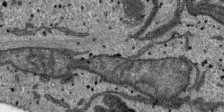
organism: Human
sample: Lung epithelial cells, uninfected (mock) control